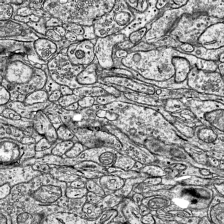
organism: Mouse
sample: Visual Cortex